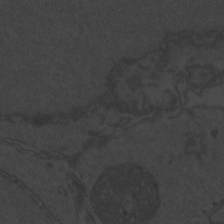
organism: Zebrafish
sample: Macrophage infected with Toxoplasma gondii